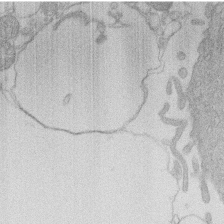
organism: Human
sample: Macrophage cells